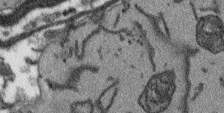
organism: Arabidopsis thaliana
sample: Root tip